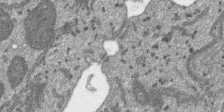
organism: Human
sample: Lung epithelial cells infected with SARS-CoV-2